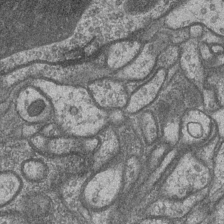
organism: Drosophila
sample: Optic medulla